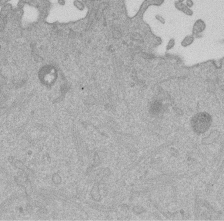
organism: Mouse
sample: Dividing mouse embryo 1 cell stage